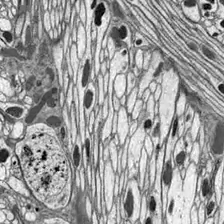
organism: Drosophila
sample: Optic lobe